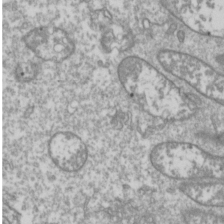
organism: Drosophila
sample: Cell division; meiosis; drosophila spermatocytes